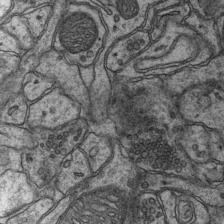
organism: Mouse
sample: CA1 Hippocampus